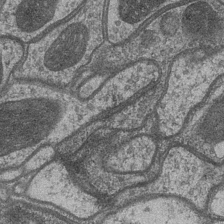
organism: Drosophila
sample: Optic medulla